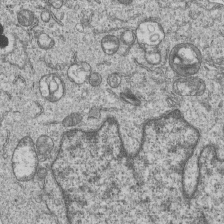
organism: Human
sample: MDA-MB-231 cells